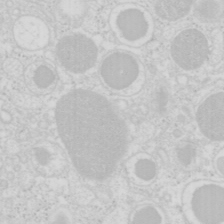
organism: Mouse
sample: Pancreas